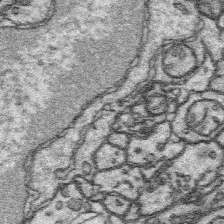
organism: Platynereis dumerilii